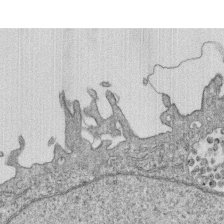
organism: Human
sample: HeLa cell HIV synapse